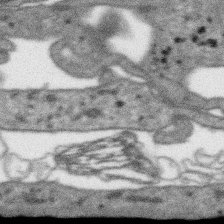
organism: Human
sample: Lung epithelial cells infected with SARS-CoV-2